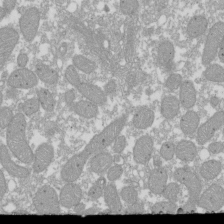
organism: Xenopus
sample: Cilia; centrioles in frog embryo cells